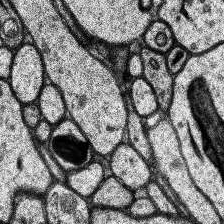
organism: Human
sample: Temporal Lobe